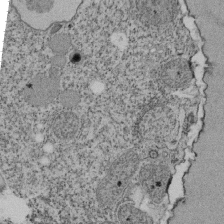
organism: Tetrahymena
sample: Cilia in tetrahymena